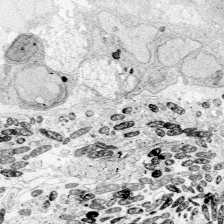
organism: Zebrafish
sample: Whole-Brain